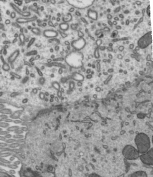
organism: Mouse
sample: Mouse epididymis efferent ductule cilia